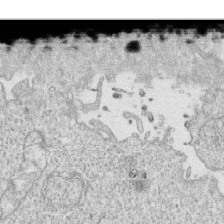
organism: Human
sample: HeLa cell HIV synapse